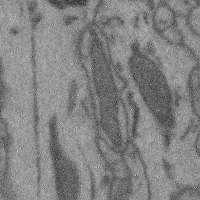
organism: Mouse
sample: Cerebral cortex